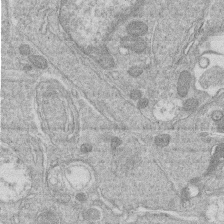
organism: Human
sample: Macrophage cells